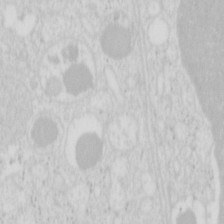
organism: Mouse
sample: Pancreas